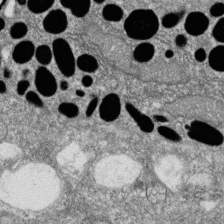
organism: Zebrafish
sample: Cilia; retinal pigment epithelium